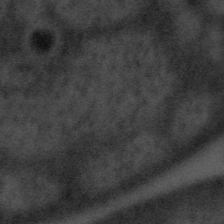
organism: Tuwongella immobilis